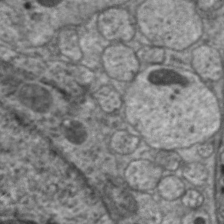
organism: C. elegans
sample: Pharynx